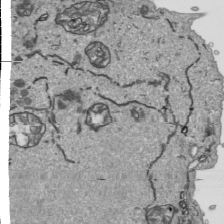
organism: Human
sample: Mitochondria in HCT116 cells